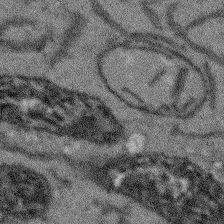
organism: Arabidopsis thaliana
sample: Root tip